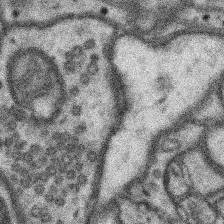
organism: Mouse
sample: Somatosensory cortex neuropil